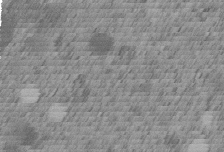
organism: C. elegans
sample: C. elegans embryo early stage